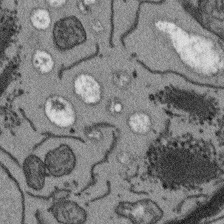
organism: Arabidopsis thaliana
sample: Root tip